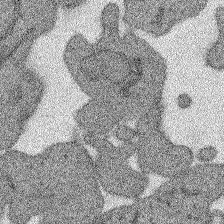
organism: Human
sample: HeLa cells